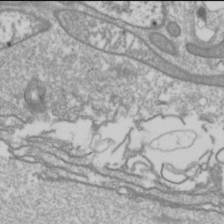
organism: Drosophila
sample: Cell division; meiosis; drosophila spermatocytes